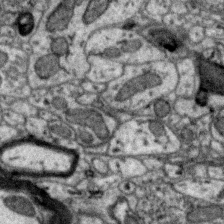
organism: Zebra finch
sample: Brain